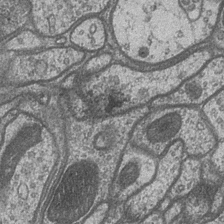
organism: Drosophila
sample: Optic medulla